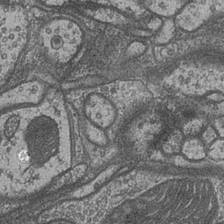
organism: Drosophila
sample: Optic medulla